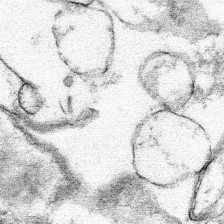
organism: Mouse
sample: Mouse hepatocytes